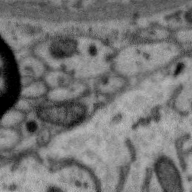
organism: Zebra finch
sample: Brain